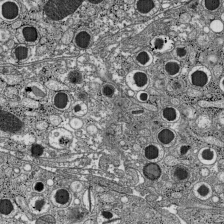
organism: C57BL Mouse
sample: Pancreatic islet